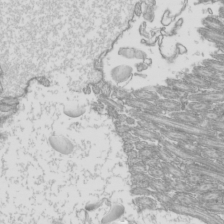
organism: Mouse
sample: Cilia; mouse epididymis